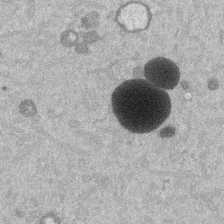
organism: Mouse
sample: Dividing mouse embryo 1 cell stage